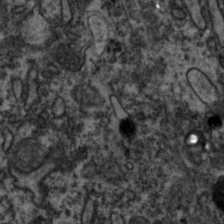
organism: Zebrafish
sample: Zebrafish embryo